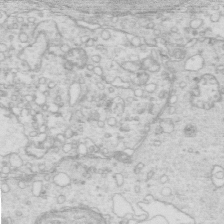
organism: Mouse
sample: Multiciliated cells